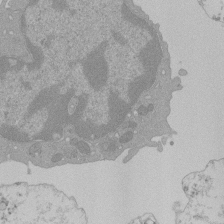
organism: Mouse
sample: Activated Pmel transgenic CD8+ T Cells